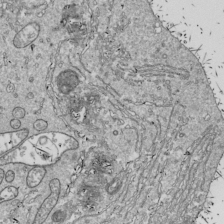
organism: Drosophila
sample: Cell division; meiosis; drosophila spermatocytes